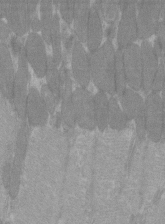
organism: C57BL Mouse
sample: Tibialis anterior muscle cell